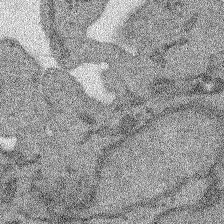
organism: Human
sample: HeLa cells